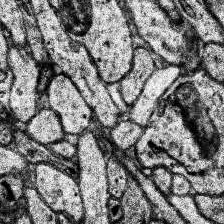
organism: Human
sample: Temporal Lobe